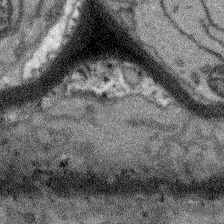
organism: Arabidopsis thaliana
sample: Root tip